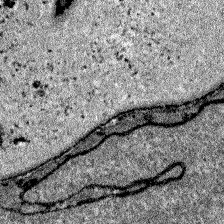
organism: Zebrafish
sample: Larval olfactory bulb